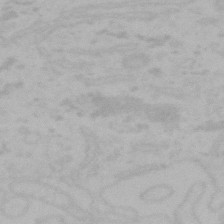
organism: Mouse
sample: Choroid plexus